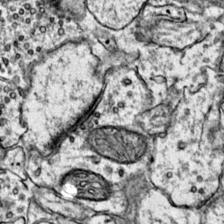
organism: Mouse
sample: Primary visual cortex